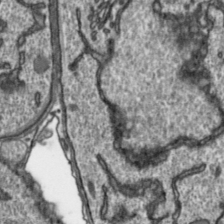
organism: Toxoplasma gondii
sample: Parasites in a vacuole inside a host cell